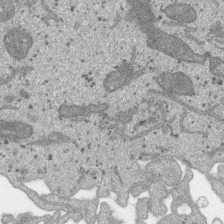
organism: Human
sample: Lung epithelial cells infected with SARS-CoV-2